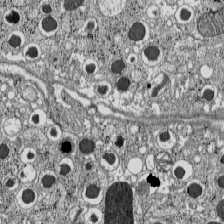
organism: C57BL Mouse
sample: Pancreatic islet